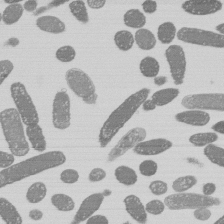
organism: E. coli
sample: Bacterial nucleoid